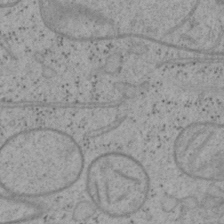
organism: Human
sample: HeLa cells